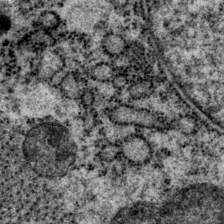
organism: P. pacificus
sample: Pharynx